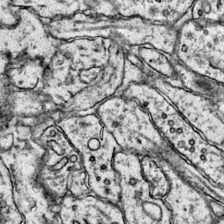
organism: Mouse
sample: Primary visual cortex